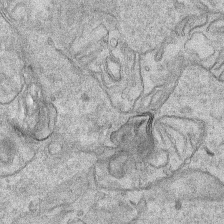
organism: Human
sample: Mitochondria in HCT116 cells